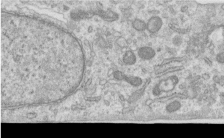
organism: Human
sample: Centriole in RPE cells